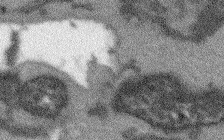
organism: Arabidopsis thaliana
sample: Root tip